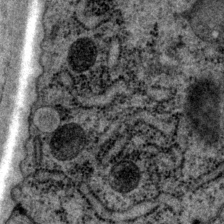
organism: P. pacificus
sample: Pharynx